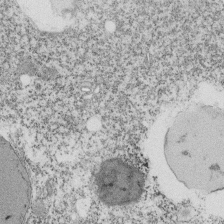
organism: Tetrahymena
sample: Cilia in tetrahymena